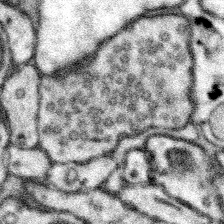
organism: Mouse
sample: Somatosensory cortex neuropil